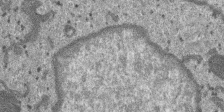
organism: Human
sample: Lung epithelial cells infected with SARS-CoV-2